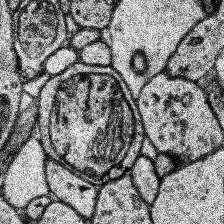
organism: Human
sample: Temporal Lobe